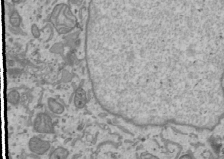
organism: Human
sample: Mitochondria in U2OS cells